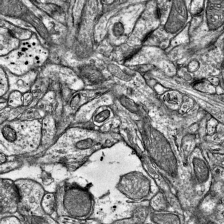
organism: Mouse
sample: Visual Cortex